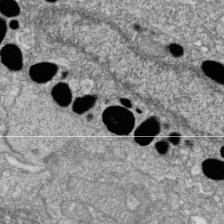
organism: Zebrafish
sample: Cilia; retinal pigment epithelium